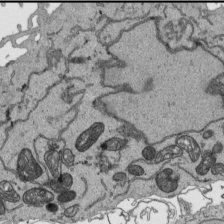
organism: Human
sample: Mitochondria in HCT116 cells